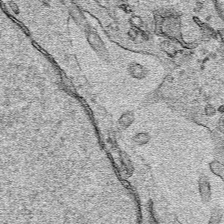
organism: Human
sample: Mitochondria in HCT116 cells